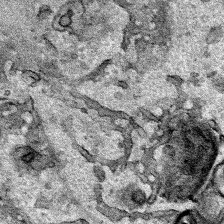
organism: Human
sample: Mitochondria in HCT116 cells